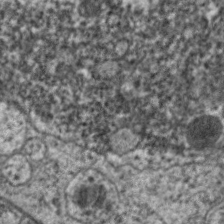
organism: C. elegans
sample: Pharynx